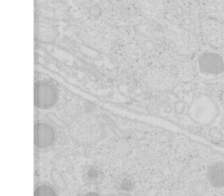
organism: Mouse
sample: Pancreas